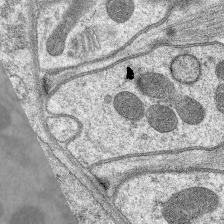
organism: C. elegans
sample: Pharynx